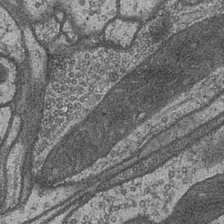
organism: Drosophila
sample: Optic medulla